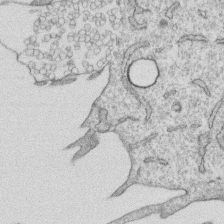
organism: Human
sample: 1205lu cells